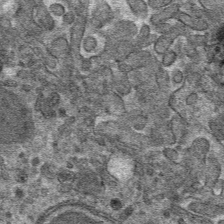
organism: Mouse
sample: Mouse hepatocytes